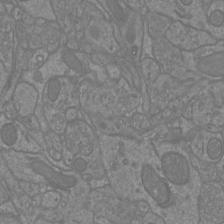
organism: Mouse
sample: Cortical neurons